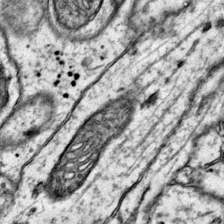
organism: Mouse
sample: Primary visual cortex